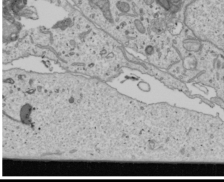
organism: Human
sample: Mitochondria in U2OS cells